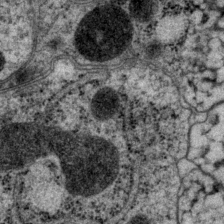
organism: P. pacificus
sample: Pharynx